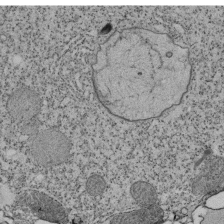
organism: Tetrahymena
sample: Cilia in tetrahymena